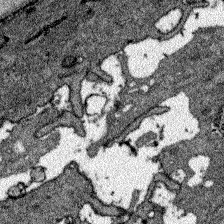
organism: Zebrafish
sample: Larval olfactory bulb